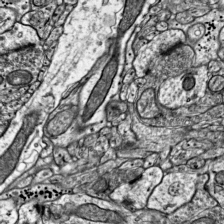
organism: Mouse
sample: Visual Cortex